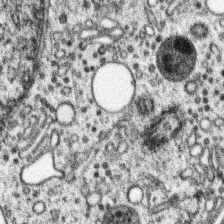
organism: Human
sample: HeLa cells